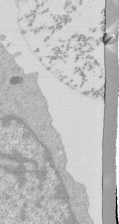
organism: Mouse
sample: Activated Pmel transgenic CD8+ T Cells